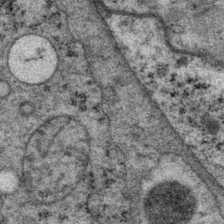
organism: P. pacificus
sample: Pharynx